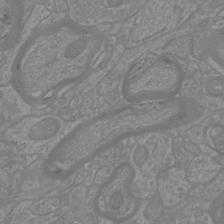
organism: Mouse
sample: Cortical neurons